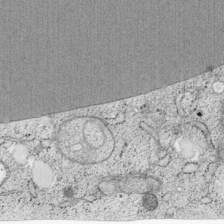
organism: African green monkey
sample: COS-7 cells